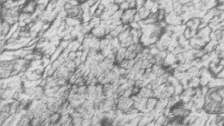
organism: Zebrafish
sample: synaptic ribbons in rod cells and cone cells